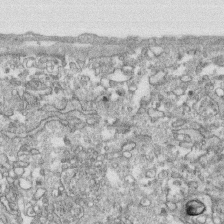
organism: Human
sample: CRL-1474